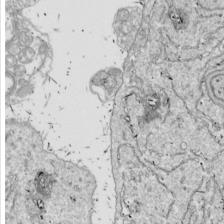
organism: Drosophila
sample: Cell division; meiosis; drosophila spermatocytes